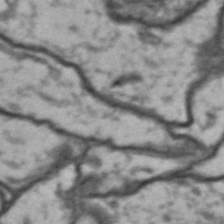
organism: Drosophila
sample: Brain